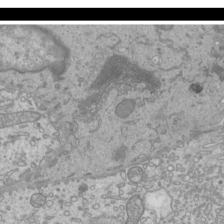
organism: Mouse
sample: Cilia; mouse epididymis